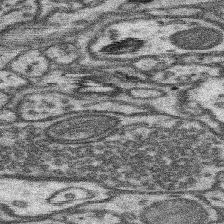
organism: Mouse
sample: Somatosensory cortex neuropil